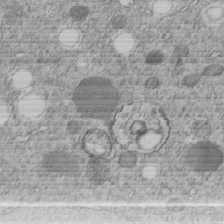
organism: C. elegans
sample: C. elegans embryo early stage